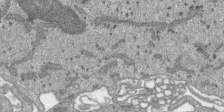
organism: Human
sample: Lung epithelial cells infected with SARS-CoV-2